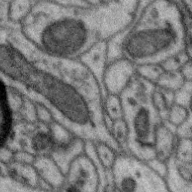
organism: Zebra finch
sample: Brain